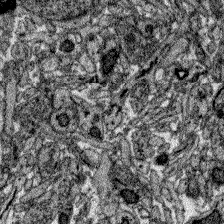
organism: Zebrafish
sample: Larval olfactory bulb